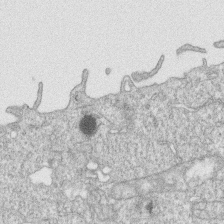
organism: Human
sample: HeLa cell HIV synapse